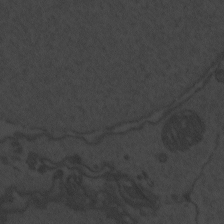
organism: Zebrafish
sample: Macrophage infected with Toxoplasma gondii